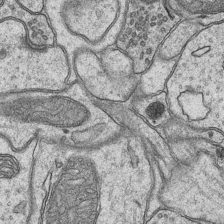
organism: Mouse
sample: CA1 Hippocampus